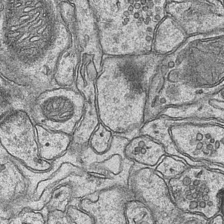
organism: Mouse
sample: CA1 Hippocampus